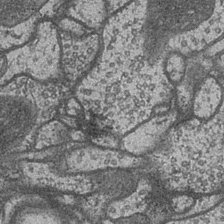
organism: Drosophila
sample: Optic medulla